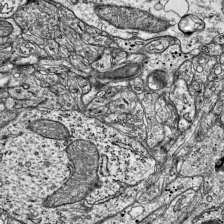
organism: Mouse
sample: Visual Cortex